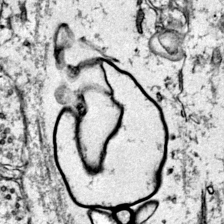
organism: Mouse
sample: Primary visual cortex